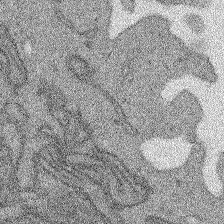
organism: Human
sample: HeLa cells